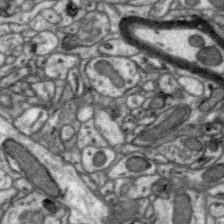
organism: Zebra finch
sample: Brain